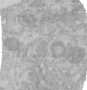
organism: Human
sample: Centriole in RPE cells